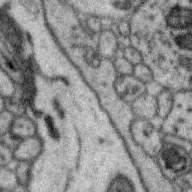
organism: Zebra finch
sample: Brain